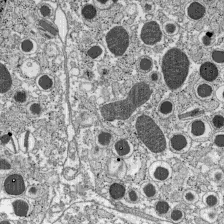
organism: C57BL Mouse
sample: Pancreatic islet